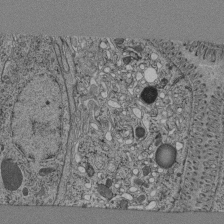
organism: C. elegans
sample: C. elegans pharynx